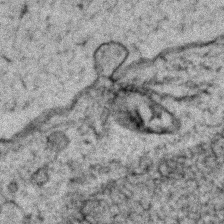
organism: Zebrafish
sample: Zebrafish embryo